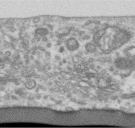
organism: Human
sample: Centriole in RPE cells